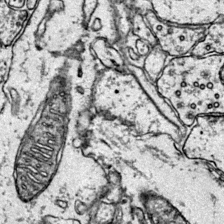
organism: Mouse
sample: Primary visual cortex